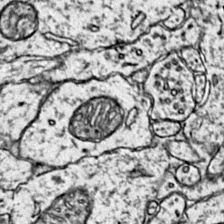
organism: Mouse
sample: Primary visual cortex